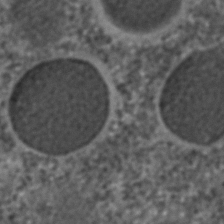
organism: C. elegans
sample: C. elegans embryo